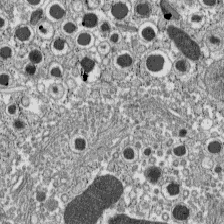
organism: C57BL Mouse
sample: Pancreatic islet